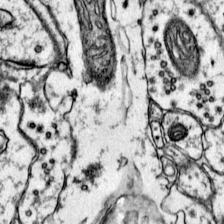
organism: Mouse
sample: Primary visual cortex